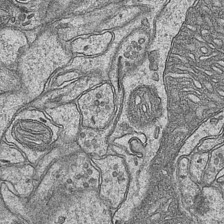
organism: Mouse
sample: CA1 Hippocampus